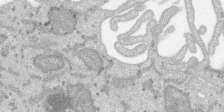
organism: Human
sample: Lung epithelial cells infected with SARS-CoV-2